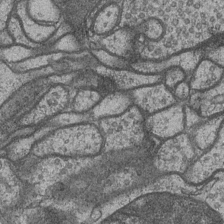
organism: Drosophila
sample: Optic medulla